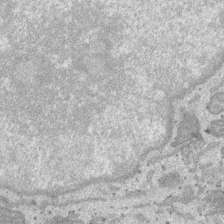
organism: Human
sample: Lung epithelial cells infected with SARS-CoV-2